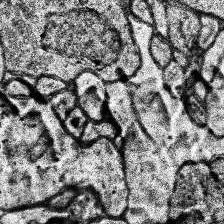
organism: Human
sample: Temporal Lobe